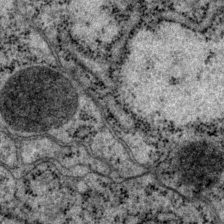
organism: P. pacificus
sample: Pharynx